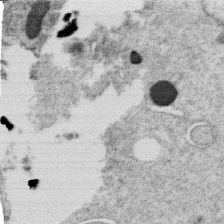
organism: C. elegans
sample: C. elegans oocyte; sperm cells